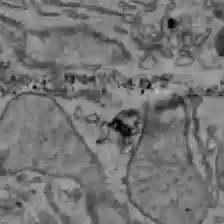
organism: C57BL Mouse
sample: Liver